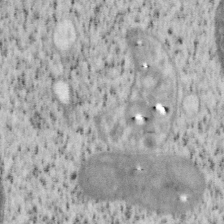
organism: Mouse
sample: OT-I killer T cells with ID8 ovarian cancer cells